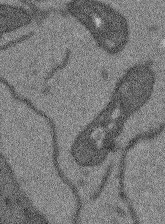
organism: Arabidopsis thaliana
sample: Root tip